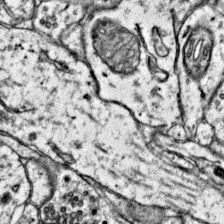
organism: Mouse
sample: Primary visual cortex